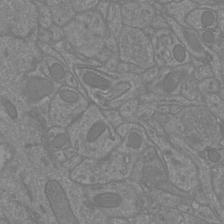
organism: Mouse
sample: Cortical neurons